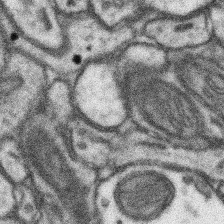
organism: Mouse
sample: Somatosensory cortex neuropil